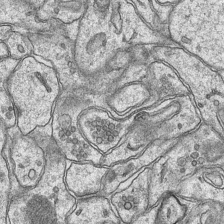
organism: Mouse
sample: CA1 Hippocampus